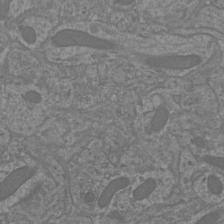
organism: Mouse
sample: Cortical neurons